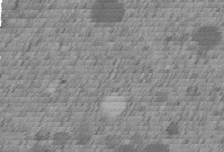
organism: C. elegans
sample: C. elegans embryo early stage